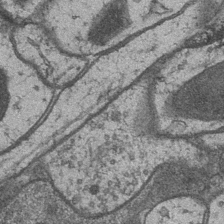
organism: Drosophila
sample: Optic medulla